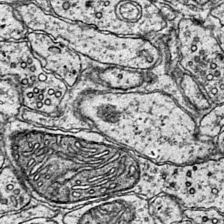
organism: Mouse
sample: Primary visual cortex